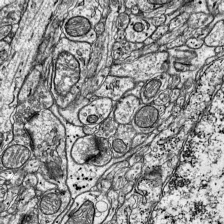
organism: Mouse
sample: Visual Cortex